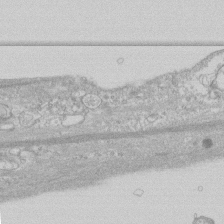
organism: Human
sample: CRL-1474